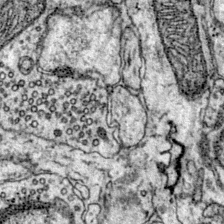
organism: Mouse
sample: Primary visual cortex